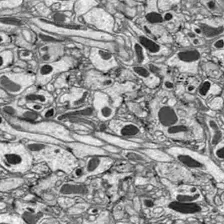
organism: Drosophila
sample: Optic lobe